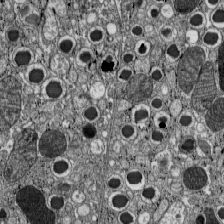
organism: C57BL Mouse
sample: Pancreatic islet